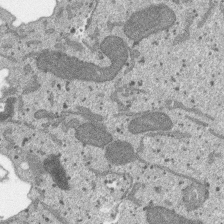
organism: Human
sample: Lung epithelial cells infected with SARS-CoV-2